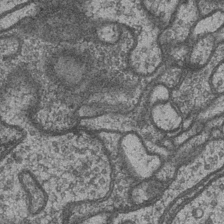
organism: Drosophila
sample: Optic medulla